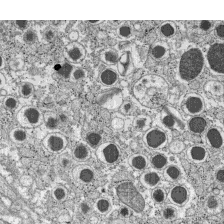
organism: C57BL Mouse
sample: Pancreatic islet